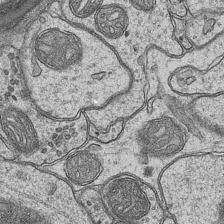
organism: Mouse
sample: CA1 Hippocampus